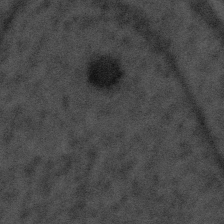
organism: Tuwongella immobilis